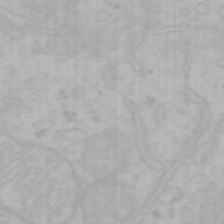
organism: Mouse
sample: Choroid plexus